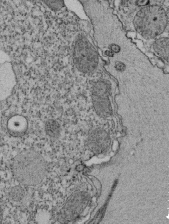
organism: Tetrahymena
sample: Cilia in tetrahymena